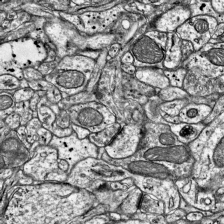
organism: Mouse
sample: Visual Cortex